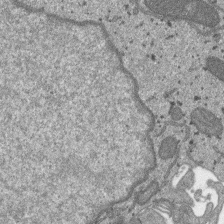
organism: Human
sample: Lung epithelial cells infected with SARS-CoV-2